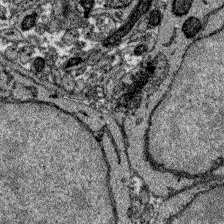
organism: Zebrafish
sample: Larval olfactory bulb